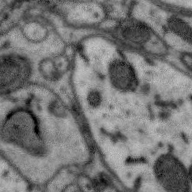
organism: Zebra finch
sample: Brain